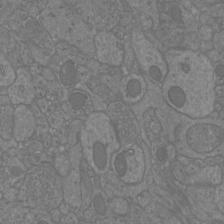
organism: Mouse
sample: Cortical neurons